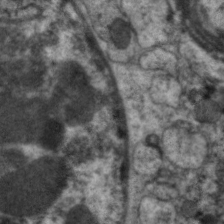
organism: C. elegans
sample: Pharynx